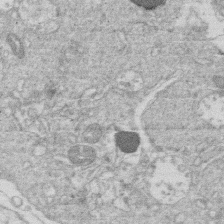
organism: Human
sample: Macrophage cells